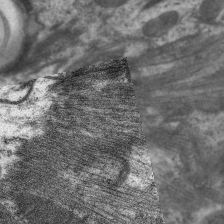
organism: C. elegans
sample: Pharynx